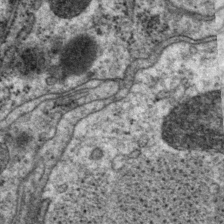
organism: P. pacificus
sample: Pharynx